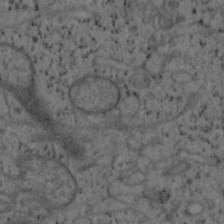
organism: Human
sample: HeLa cells